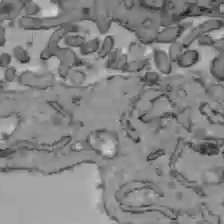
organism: C57BL Mouse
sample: Liver